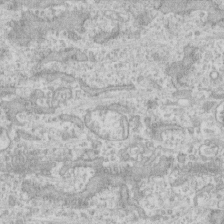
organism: Human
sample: CRL-1474